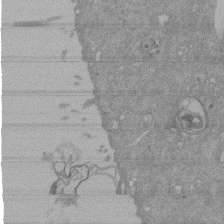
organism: Mouse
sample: ED-1 cell nuclei; centrioles